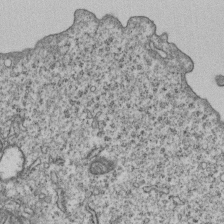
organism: Human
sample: MDA-MB-231 cells